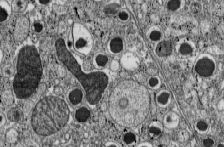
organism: C57BL Mouse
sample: Pancreatic islet